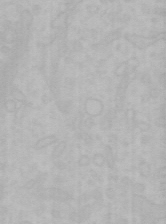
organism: Mouse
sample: Choroid plexus